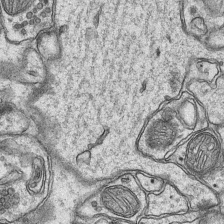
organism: Mouse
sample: CA1 Hippocampus